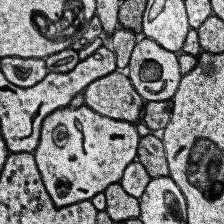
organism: Human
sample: Temporal Lobe